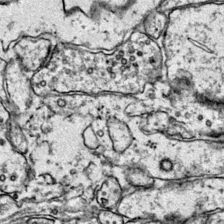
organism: Mouse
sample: Primary visual cortex